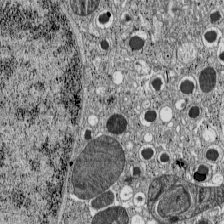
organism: C57BL Mouse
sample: Pancreatic islet